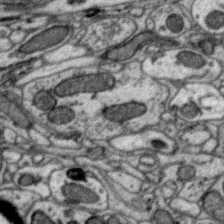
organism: Zebra finch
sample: Brain